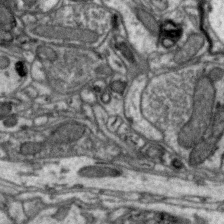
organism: Zebra finch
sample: Brain